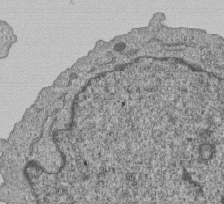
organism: Human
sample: MDA-MB-231 cells